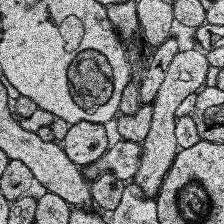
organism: Human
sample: Temporal Lobe